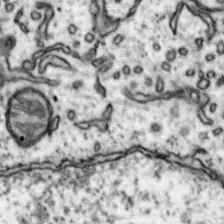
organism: Mouse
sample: Nucleus accumbens